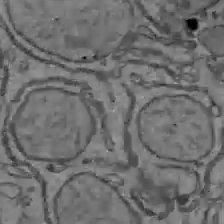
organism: C57BL Mouse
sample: Liver